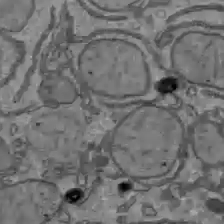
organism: C57BL Mouse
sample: Liver